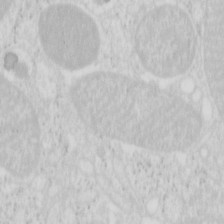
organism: Mouse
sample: Pancreas